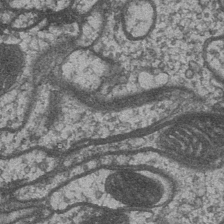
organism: Drosophila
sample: Optic medulla